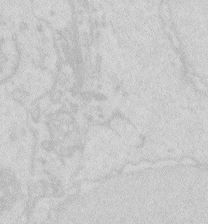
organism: Zebrafish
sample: Macrophage